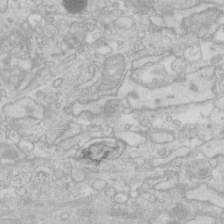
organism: Human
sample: Fibroblast cells